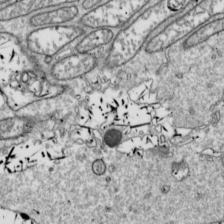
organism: Drosophila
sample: Cell division; meiosis; drosophila spermatocytes